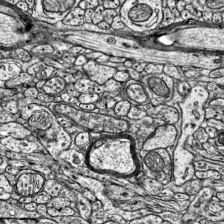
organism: Mouse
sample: Visual Cortex